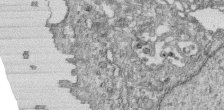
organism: Human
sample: HeLa cell HIV synapse